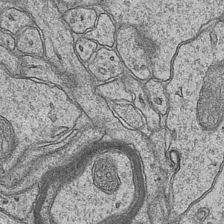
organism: Mouse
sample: CA1 Hippocampus